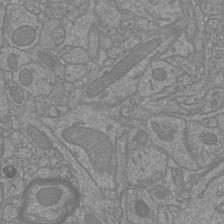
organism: Mouse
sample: Cortical neurons